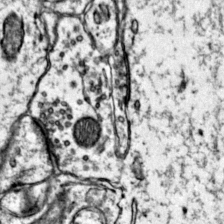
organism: Mouse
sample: Primary visual cortex